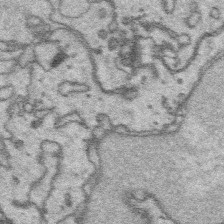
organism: Platynereis dumerilii